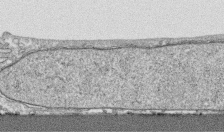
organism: Human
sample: CRL-1474